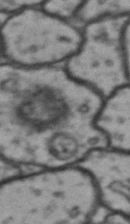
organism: Drosophila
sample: Brain